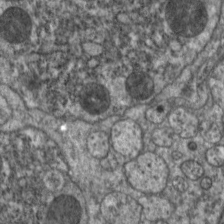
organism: C. elegans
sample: Pharynx